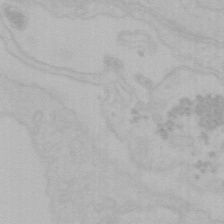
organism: Mouse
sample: Choroid plexus